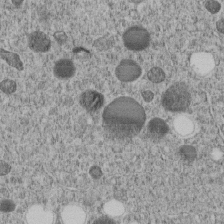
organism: C. elegans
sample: C. elegans embryo early stage